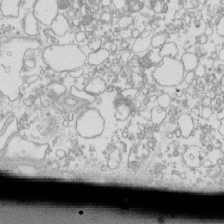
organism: Mouse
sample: Macrophages